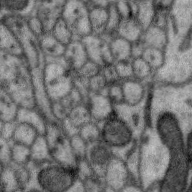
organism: Zebra finch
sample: Brain